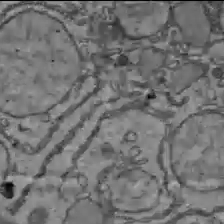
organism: C57BL Mouse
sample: Liver